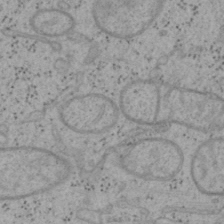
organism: Human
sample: HeLa cells